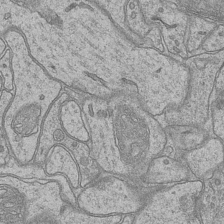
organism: Mouse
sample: CA1 Hippocampus